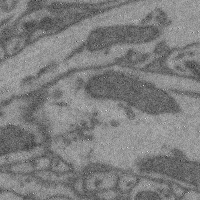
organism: Mouse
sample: Cerebral cortex